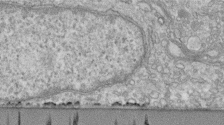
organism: Human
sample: Centriole in fibroblast cells